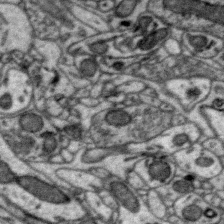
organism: Zebra finch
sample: Brain